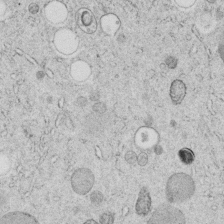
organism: C. elegans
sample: C. elegans embryo early stage